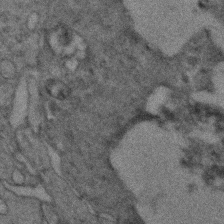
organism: Zebrafish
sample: Zebrafish embryo